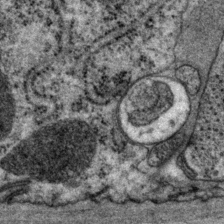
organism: P. pacificus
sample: Pharynx